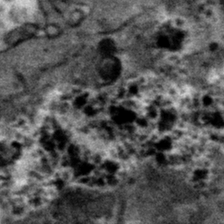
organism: Mouse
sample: Mouse hepatocytes